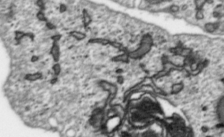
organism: Toxoplasma gondii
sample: Parasites in a vacuole inside a host cell